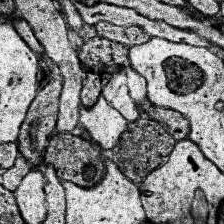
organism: Human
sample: Temporal Lobe